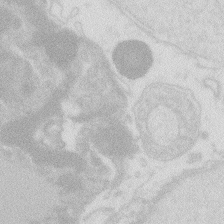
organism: Zebrafish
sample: Macrophage